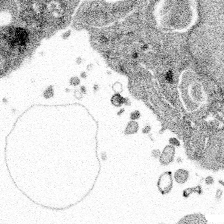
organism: Spongilla lacustris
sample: Multiple